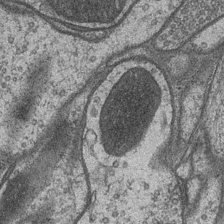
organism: Drosophila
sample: Optic medulla